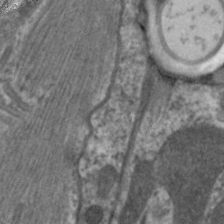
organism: C. elegans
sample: Pharynx